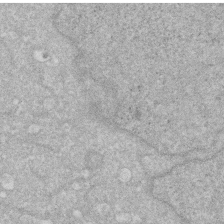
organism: Human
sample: HIV infected U937 cells